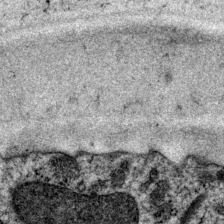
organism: P. pacificus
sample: Pharynx